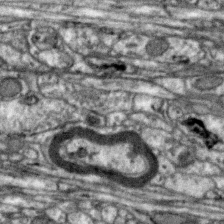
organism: Zebra finch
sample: Brain